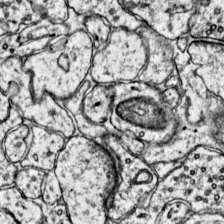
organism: Mouse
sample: Primary visual cortex